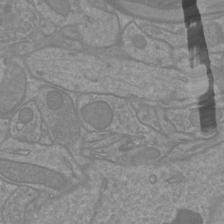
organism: Mouse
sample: Cortical neurons